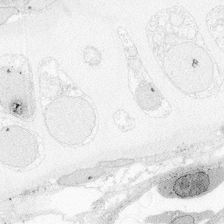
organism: Zebrafish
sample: Whole-Brain